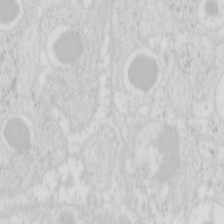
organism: Mouse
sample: Pancreas